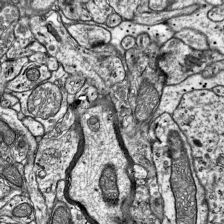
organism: Mouse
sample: Visual Cortex